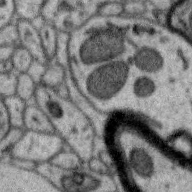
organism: Zebra finch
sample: Brain